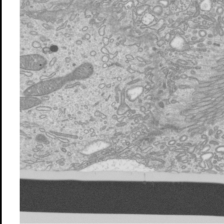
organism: Mouse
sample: Cilia; mouse epididymis